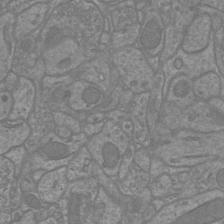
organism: Mouse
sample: Cortical neurons